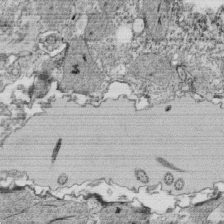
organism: Tetrahymena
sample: Cilia in tetrahymena